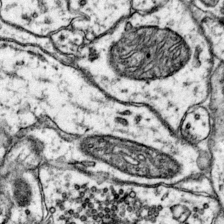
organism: Mouse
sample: Primary visual cortex